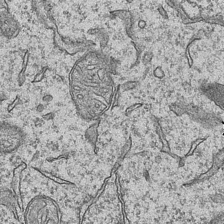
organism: Mouse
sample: CA1 Hippocampus